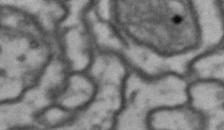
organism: Drosophila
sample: Brain